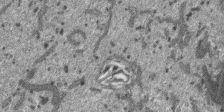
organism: Human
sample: Lung epithelial cells infected with SARS-CoV-2